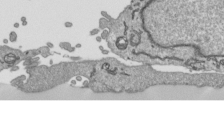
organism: Human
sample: Mitochondria in HCT116 cells